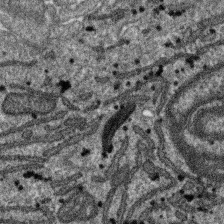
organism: Human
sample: Lung epithelial cells infected with SARS-CoV-2